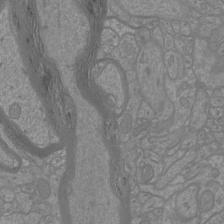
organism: Mouse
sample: Cortical neurons